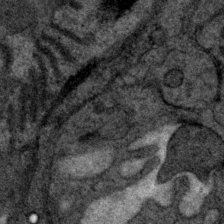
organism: P. pacificus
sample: Pharynx